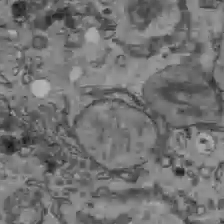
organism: C57BL Mouse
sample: Liver